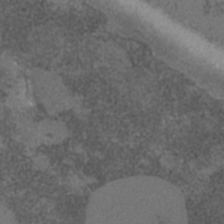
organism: C. elegans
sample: C. elegans embryo